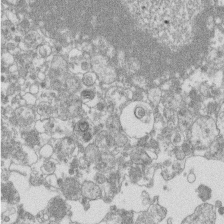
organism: Human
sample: HeLa cell HIV synapse